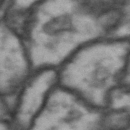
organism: Drosophila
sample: Brain